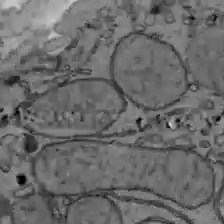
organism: C57BL Mouse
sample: Liver